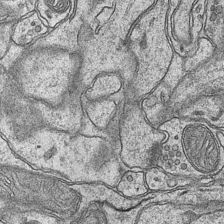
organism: Mouse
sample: CA1 Hippocampus